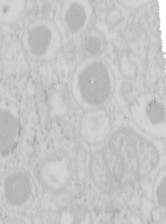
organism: Mouse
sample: Pancreas